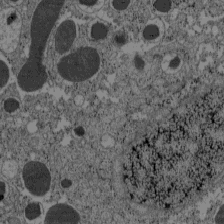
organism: C57BL Mouse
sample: Pancreatic islet